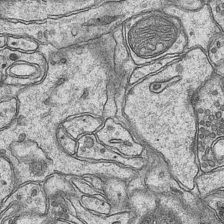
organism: Mouse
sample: CA1 Hippocampus